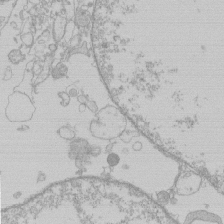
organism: Human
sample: Macrophage cells